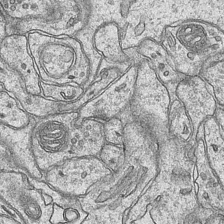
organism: Mouse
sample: CA1 Hippocampus